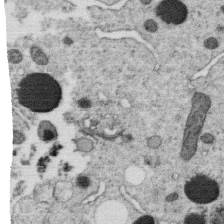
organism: C. elegans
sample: C. elegans oocyte; sperm cells